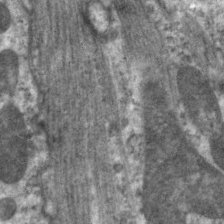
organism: C. elegans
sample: Pharynx